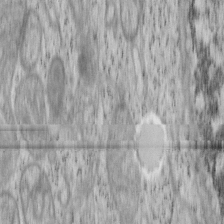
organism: Human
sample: HeLa cells